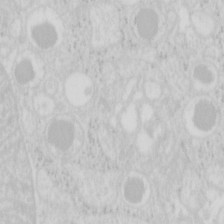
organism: Mouse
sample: Pancreas